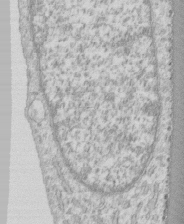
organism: Human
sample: CRL-1474